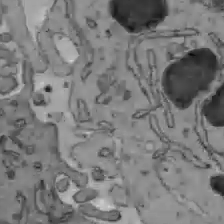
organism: C57BL Mouse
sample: Liver